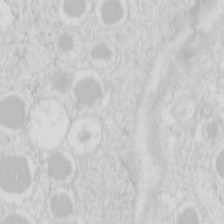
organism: Mouse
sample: Pancreas